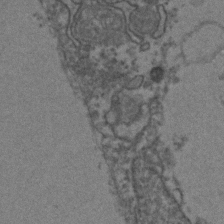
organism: Zebrafish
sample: Zebrafish embryo